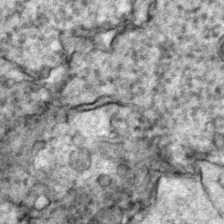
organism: Zebrafish